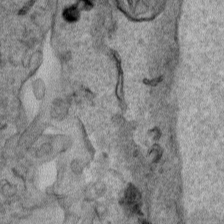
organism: Human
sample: Mitochondria in HCT116 cells